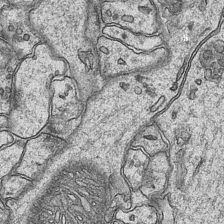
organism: Mouse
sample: CA1 Hippocampus